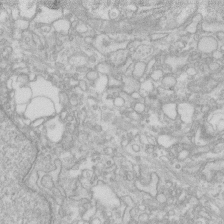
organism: Human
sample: Fibroblast cells